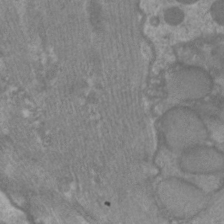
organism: C. elegans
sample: Pharynx